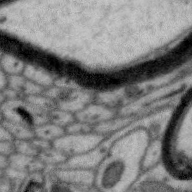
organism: Zebra finch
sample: Brain